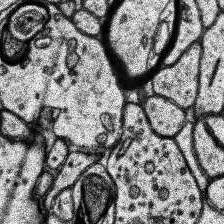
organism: Human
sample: Temporal Lobe